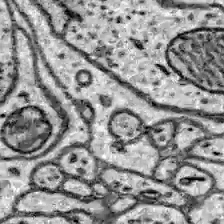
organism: Zebrafish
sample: Brain